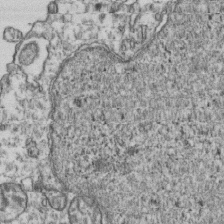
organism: Human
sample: Activated Jurkat CD4+ T cells